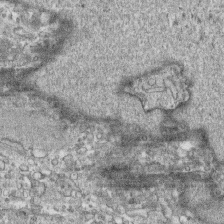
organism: Human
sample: CRL-1474